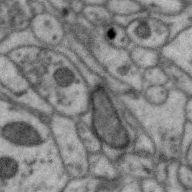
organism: Zebra finch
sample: Brain